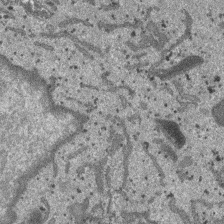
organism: Human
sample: Lung epithelial cells infected with SARS-CoV-2